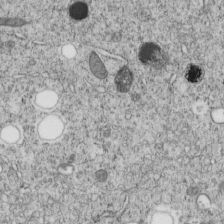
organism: C. elegans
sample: C. elegans embryo early stage